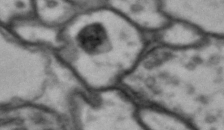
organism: Drosophila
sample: Brain